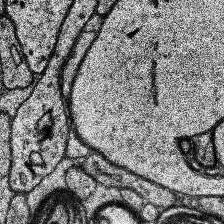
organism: Human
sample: Temporal Lobe